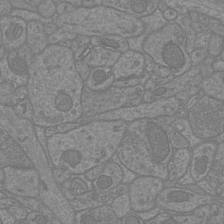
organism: Mouse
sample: Cortical neurons